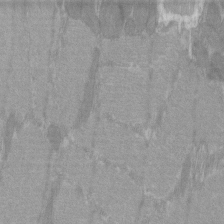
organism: C57BL Mouse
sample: Tibialis anterior muscle cell